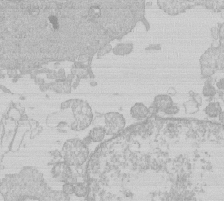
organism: Human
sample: Macrophage cells